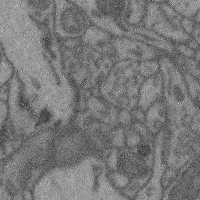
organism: Mouse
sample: Cerebral cortex